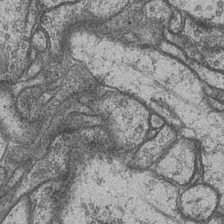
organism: Drosophila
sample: Optic medulla